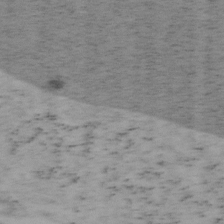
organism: Mouse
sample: OT-I killer T cells with ID8 ovarian cancer cells